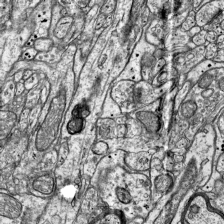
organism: Mouse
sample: Visual Cortex